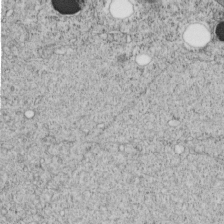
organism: C. elegans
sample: C. elegans embryo early stage